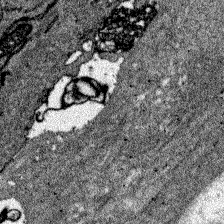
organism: Zebrafish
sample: Larval olfactory bulb